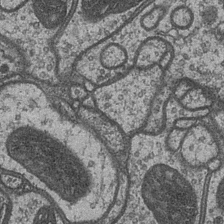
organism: Drosophila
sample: Optic medulla